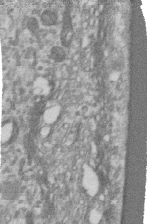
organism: Human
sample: Centriole in RPE cells